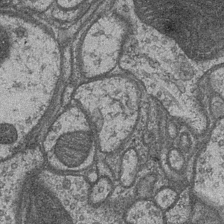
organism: Drosophila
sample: Optic medulla